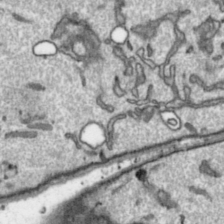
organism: Toxoplasma gondii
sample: Parasites in a vacuole inside a host cell